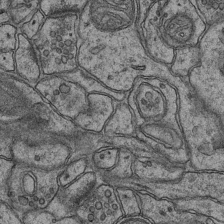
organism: Mouse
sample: CA1 Hippocampus